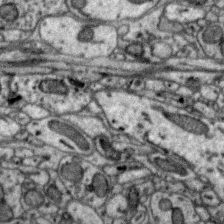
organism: Zebra finch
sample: Brain